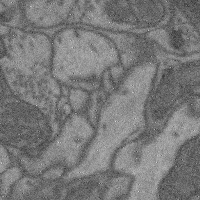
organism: Mouse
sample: Cerebral cortex